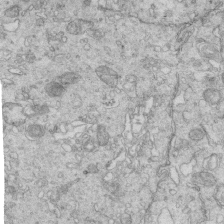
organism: Mouse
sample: Multiciliated cells